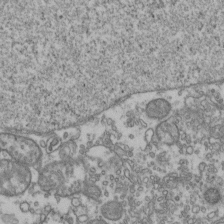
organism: Human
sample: Activated Jurkat CD4+ T cells